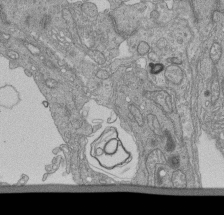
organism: Human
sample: Retinal organoid Rod and Cone cells